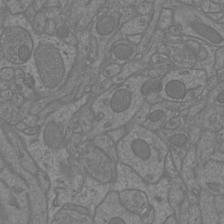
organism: Mouse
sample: Cortical neurons